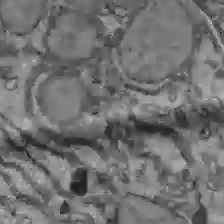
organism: C57BL Mouse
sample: Liver